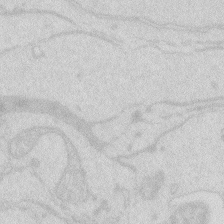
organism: Zebrafish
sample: Macrophage